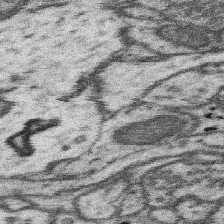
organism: Mouse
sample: Somatosensory cortex neuropil